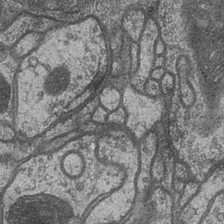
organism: Drosophila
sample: Optic medulla